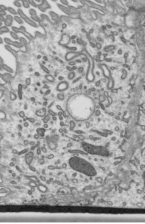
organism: Mouse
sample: Mouse epididymis efferent ductule cilia